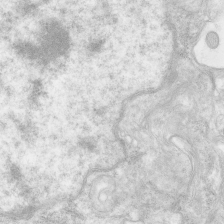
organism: Human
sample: Neocortex